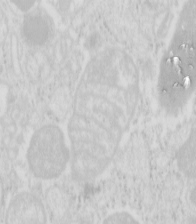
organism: Mouse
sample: Pancreas